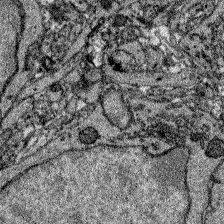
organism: Zebrafish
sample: Larval olfactory bulb